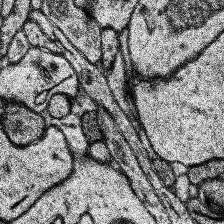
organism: Human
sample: Temporal Lobe